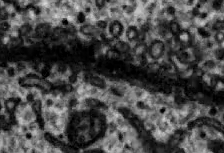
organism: Human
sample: HeLa cells